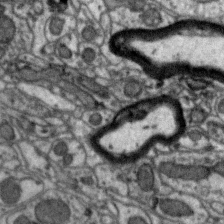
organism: Zebra finch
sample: Brain